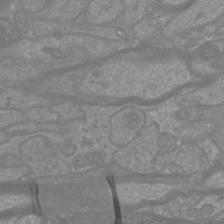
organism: Mouse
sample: Cortical neurons